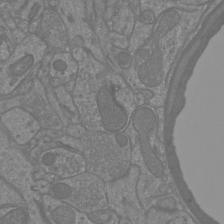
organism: Mouse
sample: Cortical neurons